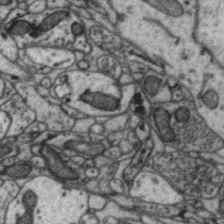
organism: Zebra finch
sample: Brain